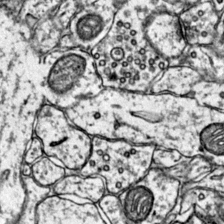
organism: Mouse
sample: Primary visual cortex